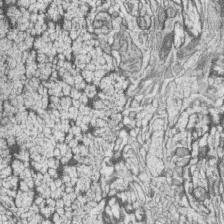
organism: Zebrafish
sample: synaptic ribbons in rod cells and cone cells